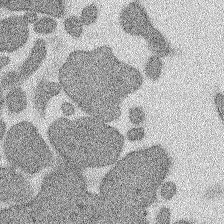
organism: Human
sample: HeLa cells